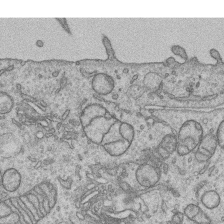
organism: Human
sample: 1205lu cells